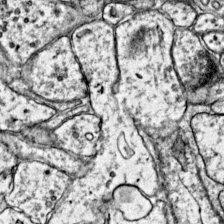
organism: Mouse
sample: Primary visual cortex